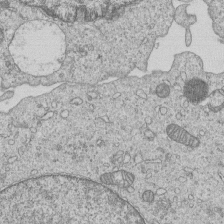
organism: Human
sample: MDA-MB-231 cells